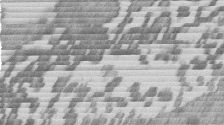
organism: Mouse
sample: Dividing mouse embryo 1 cell stage